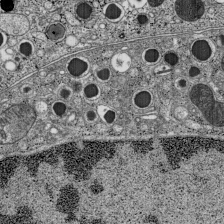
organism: C57BL Mouse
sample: Pancreatic islet